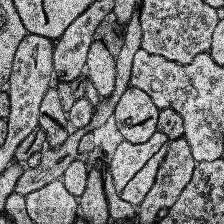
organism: Human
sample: Temporal Lobe